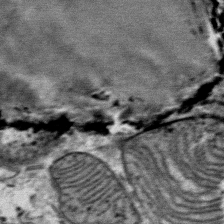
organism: Mouse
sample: Mouse Salivary gland